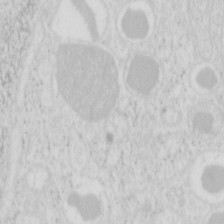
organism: Mouse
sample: Pancreas